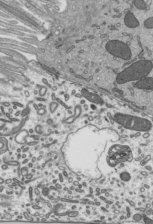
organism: Mouse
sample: Mouse epididymis efferent ductule cilia